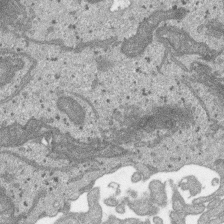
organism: Human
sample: Lung epithelial cells infected with SARS-CoV-2